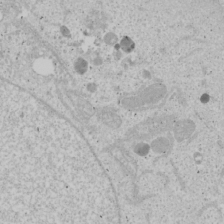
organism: Human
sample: Mitochondria in U2OS cells